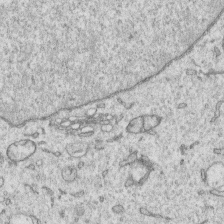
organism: Human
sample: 1205lu cells